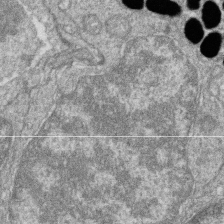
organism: Zebrafish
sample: Cilia; retinal pigment epithelium